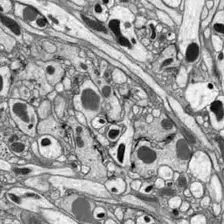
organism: Drosophila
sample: Optic lobe